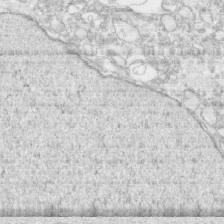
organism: Human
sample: CRL-1474